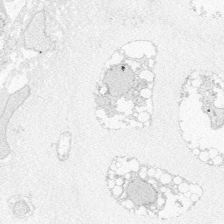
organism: Zebrafish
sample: Whole-Brain